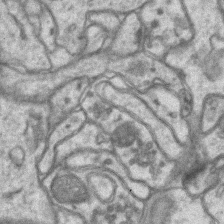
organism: Mouse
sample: CA1 Hippocampus